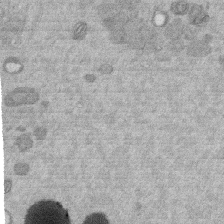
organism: Mouse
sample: Dividing mouse embryo 1 cell stage